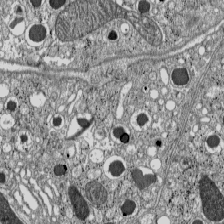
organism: C57BL Mouse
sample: Pancreatic islet